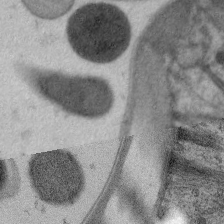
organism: C. elegans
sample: Pharynx